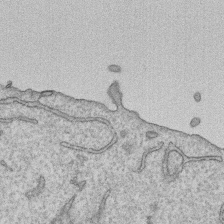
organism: Human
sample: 1205lu cells